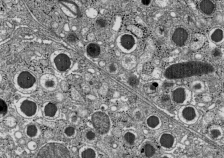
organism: C57BL Mouse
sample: Pancreatic islet